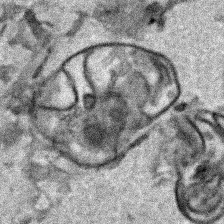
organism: Human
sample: Mitochondria in HCT116 cells